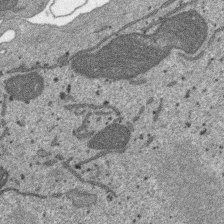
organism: Human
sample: Lung epithelial cells infected with SARS-CoV-2